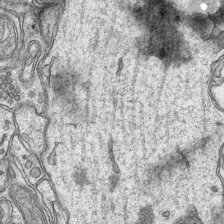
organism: Mouse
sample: CA1 Hippocampus